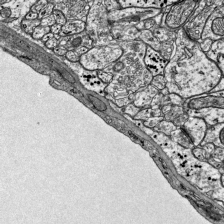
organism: Mouse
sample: Visual Cortex